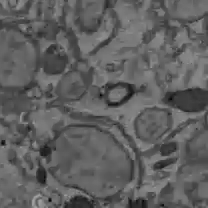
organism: C57BL Mouse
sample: Liver